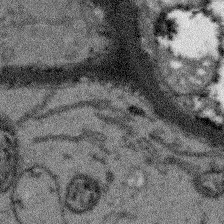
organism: Arabidopsis thaliana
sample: Root tip